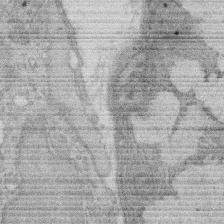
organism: Rat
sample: Salivary granule